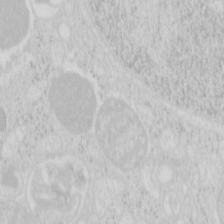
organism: Mouse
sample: Pancreas